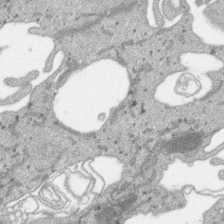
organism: Human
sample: Lung epithelial cells infected with SARS-CoV-2